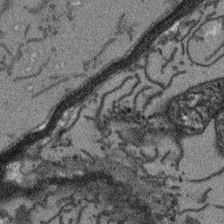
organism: Arabidopsis thaliana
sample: Root tip